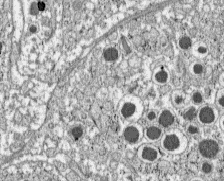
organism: C57BL Mouse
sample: Pancreatic islet